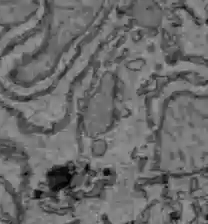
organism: C57BL Mouse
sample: Liver